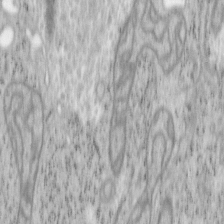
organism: Human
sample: HeLa cells